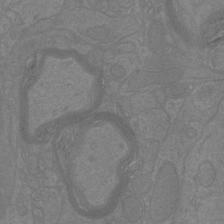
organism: Mouse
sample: Cortical neurons